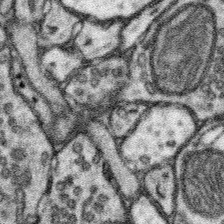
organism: Mouse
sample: Somatosensory cortex neuropil